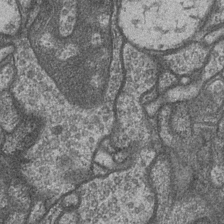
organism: Drosophila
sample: Optic medulla